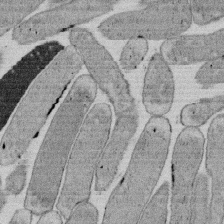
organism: E. coli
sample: Bacterial nucleoid